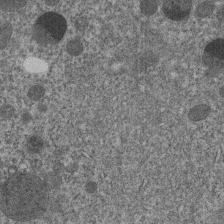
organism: C. elegans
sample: C. elegans embryo early stage